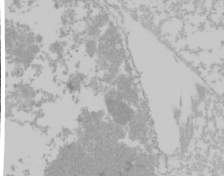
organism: Mouse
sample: Cancer cell death in ED-1 cells